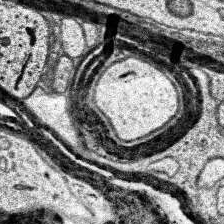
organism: Human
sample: Temporal Lobe